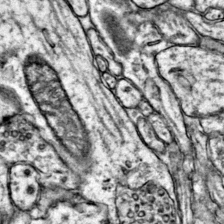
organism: Mouse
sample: Primary visual cortex